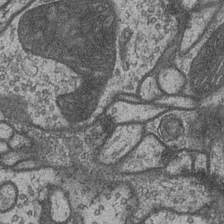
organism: Drosophila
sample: Optic medulla